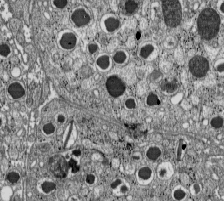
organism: C57BL Mouse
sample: Pancreatic islet